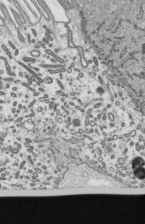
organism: Mouse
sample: Mouse epididymis efferent ductule cilia